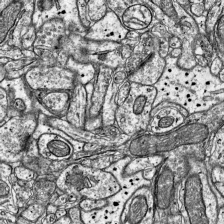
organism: Mouse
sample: Visual Cortex